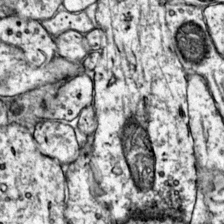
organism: Mouse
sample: Primary visual cortex